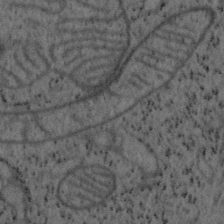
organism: Human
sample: HeLa cells